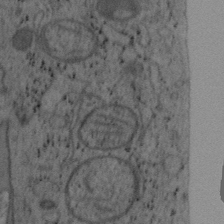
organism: Human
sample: HeLa cells